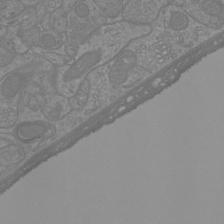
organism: Mouse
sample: Cortical neurons